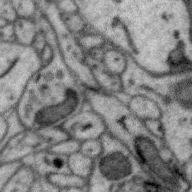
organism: Zebra finch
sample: Brain